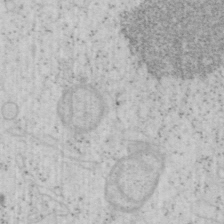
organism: Human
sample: HeLa cells